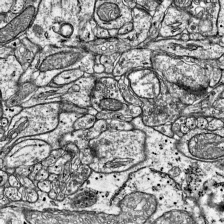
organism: Mouse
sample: Visual Cortex